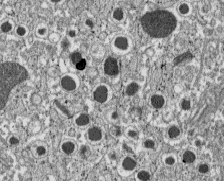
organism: C57BL Mouse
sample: Pancreatic islet